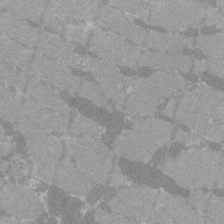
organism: C57BL Mouse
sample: Tibialis anterior muscle cell